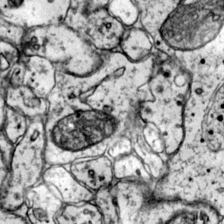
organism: Mouse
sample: Primary visual cortex